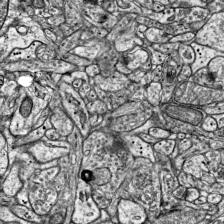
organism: Mouse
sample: Visual Cortex